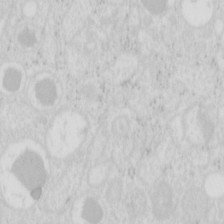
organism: Mouse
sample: Pancreas